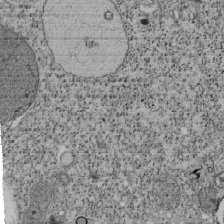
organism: Tetrahymena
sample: Cilia in tetrahymena